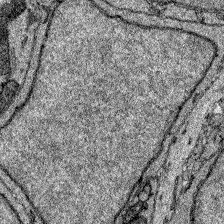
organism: Zebrafish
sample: Larval olfactory bulb